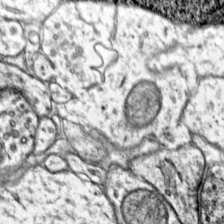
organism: Mouse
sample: Primary visual cortex